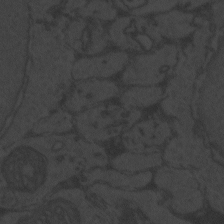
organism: Zebrafish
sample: Macrophage infected with Toxoplasma gondii